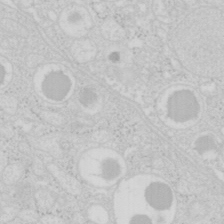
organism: Mouse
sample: Pancreas